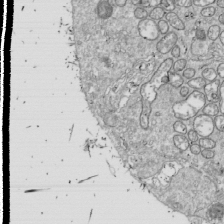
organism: Drosophila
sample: Cell division; meiosis; drosophila spermatocytes